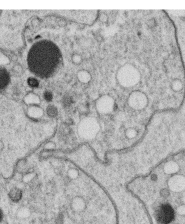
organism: C. elegans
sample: C. elegans oocyte; sperm cells